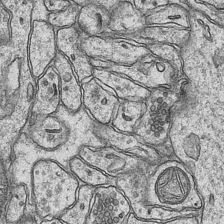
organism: Mouse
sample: CA1 Hippocampus